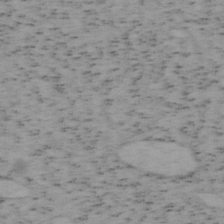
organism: Mouse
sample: OT-I killer T cells with ID8 ovarian cancer cells